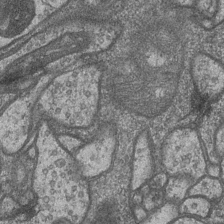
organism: Drosophila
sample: Optic medulla